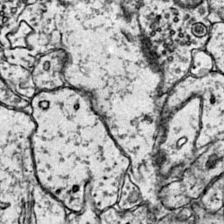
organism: Mouse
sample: Primary visual cortex